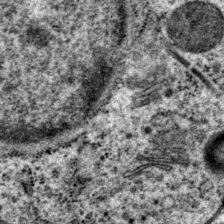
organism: P. pacificus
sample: Pharynx